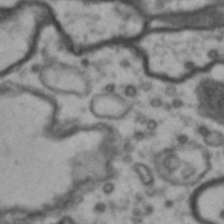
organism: Drosophila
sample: Brain